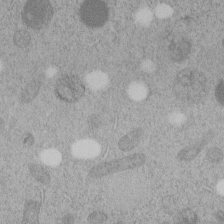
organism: C. elegans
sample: C. elegans embryo early stage